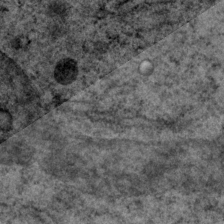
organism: P. pacificus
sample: Pharynx